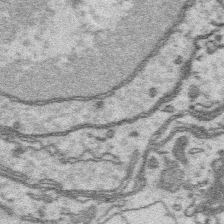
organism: Platynereis dumerilii